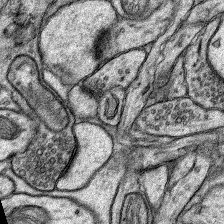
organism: Rat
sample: Hippocampus